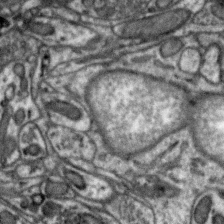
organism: Zebra finch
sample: Brain